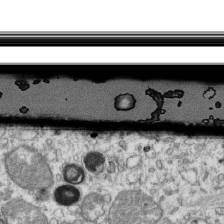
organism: Mouse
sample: Activated OT-1 CD8+ T cells